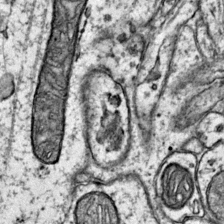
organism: Mouse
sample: Primary visual cortex